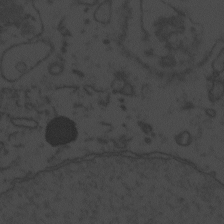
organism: Zebrafish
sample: Macrophage infected with Toxoplasma gondii